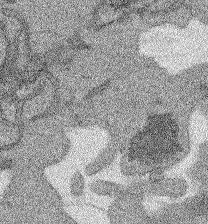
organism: Human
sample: HeLa cells